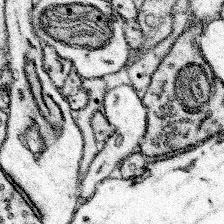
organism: Mouse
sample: Somatosensory cortex neuropil